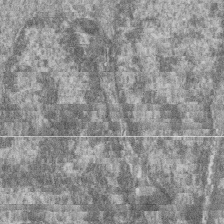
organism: Zebrafish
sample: Cilia; retinal pigment epithelium